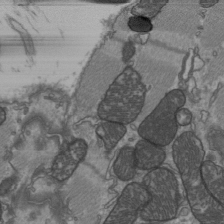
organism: C57BL Mouse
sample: Heart